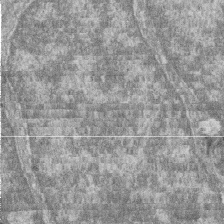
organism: Zebrafish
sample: Cilia; retinal pigment epithelium